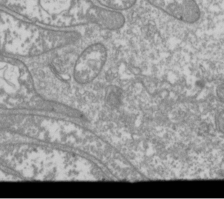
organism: Drosophila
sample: Cell division; meiosis; drosophila spermatocytes